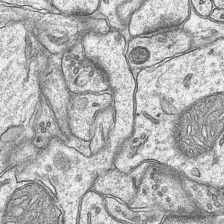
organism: Mouse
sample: CA1 Hippocampus